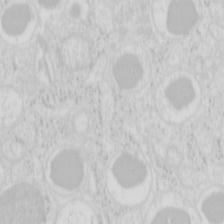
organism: Mouse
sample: Pancreas